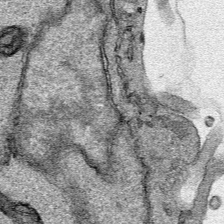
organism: Human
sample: Mitochondria in HCT116 cells